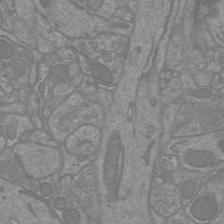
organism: Mouse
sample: Cortical neurons